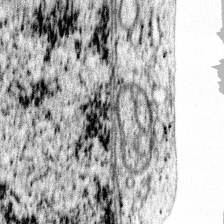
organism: Human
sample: HeLa cells